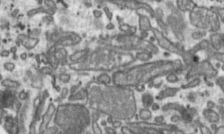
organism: Toxoplasma gondii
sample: Parasites in a vacuole inside a host cell